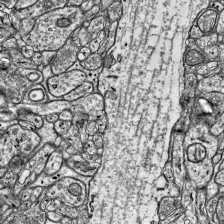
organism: Mouse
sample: Visual Cortex